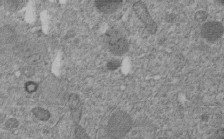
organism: C. elegans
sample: C. elegans embryo early stage